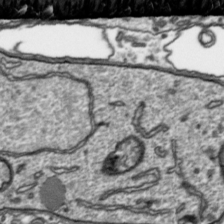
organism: Toxoplasma gondii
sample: Parasites in a vacuole inside a host cell